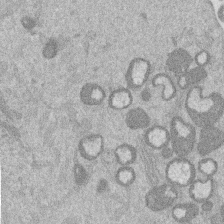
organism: Mouse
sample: Dividing mouse embryo 1 cell stage